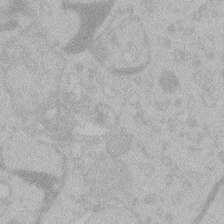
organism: Zebrafish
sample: Macrophage infected with Toxoplasma gondii